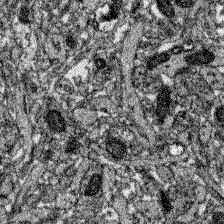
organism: Zebrafish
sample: Larval olfactory bulb